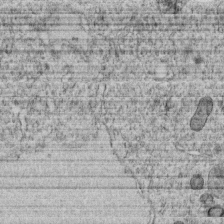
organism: C. elegans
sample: C. elegans embryo early stage